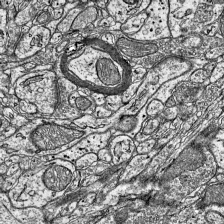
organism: Mouse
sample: Visual Cortex